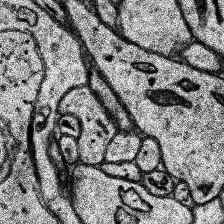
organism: Human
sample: Temporal Lobe